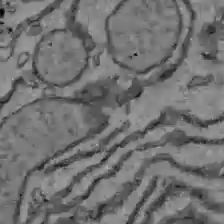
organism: C57BL Mouse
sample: Liver